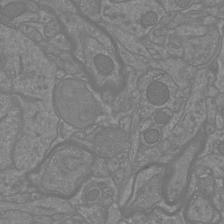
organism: Mouse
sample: Cortical neurons